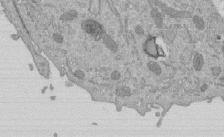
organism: Mouse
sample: ED-1 cell nuclei; centrioles